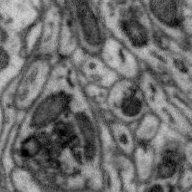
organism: Zebra finch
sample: Brain